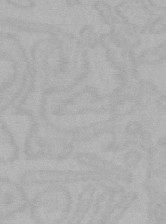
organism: Mouse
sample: Choroid plexus